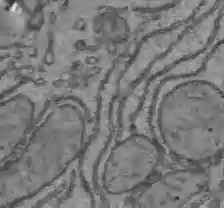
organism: C57BL Mouse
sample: Liver